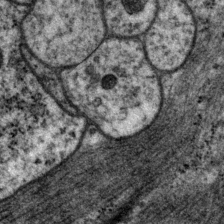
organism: P. pacificus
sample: Pharynx